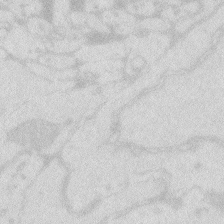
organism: Zebrafish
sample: Macrophage